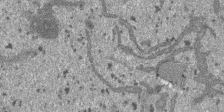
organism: Human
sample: Lung epithelial cells infected with SARS-CoV-2